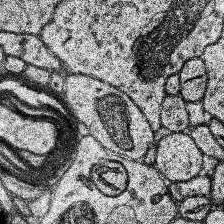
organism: Human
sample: Temporal Lobe